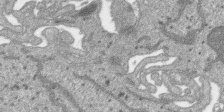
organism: Human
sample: Lung epithelial cells infected with SARS-CoV-2